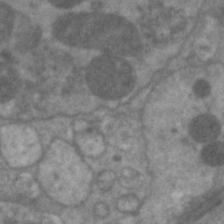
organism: C. elegans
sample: Pharynx